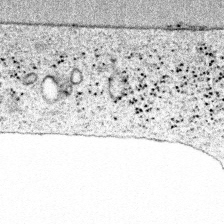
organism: Human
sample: HeLa cells